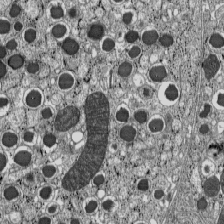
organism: C57BL Mouse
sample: Pancreatic islet